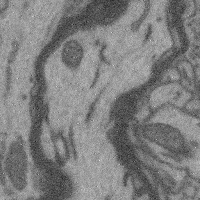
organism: Mouse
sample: Cerebral cortex